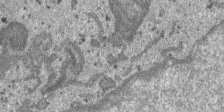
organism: Human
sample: Lung epithelial cells infected with SARS-CoV-2